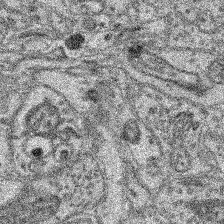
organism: Mouse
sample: Retina